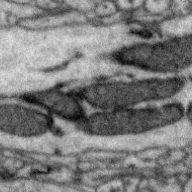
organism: Zebra finch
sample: Brain